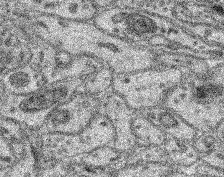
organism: Mouse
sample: Retina